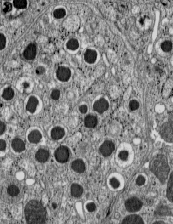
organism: C57BL Mouse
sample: Pancreatic islet